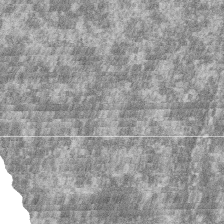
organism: Zebrafish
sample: Cilia; retinal pigment epithelium